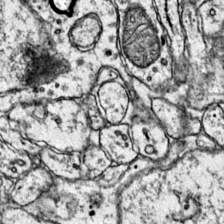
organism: Mouse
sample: Primary visual cortex